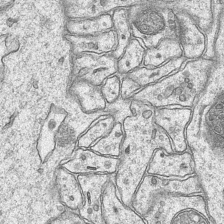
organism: Mouse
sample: CA1 Hippocampus